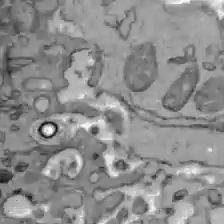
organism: C57BL Mouse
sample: Liver